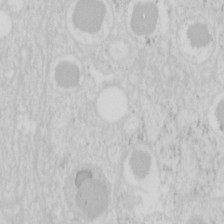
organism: Mouse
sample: Pancreas